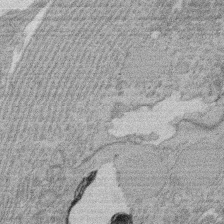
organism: Rat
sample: Salivary granule